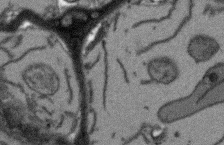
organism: Arabidopsis thaliana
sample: Root tip